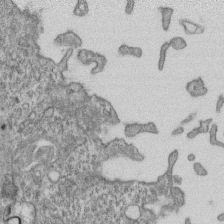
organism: Mouse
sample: Centriole in ependymal cells